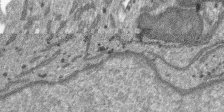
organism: Human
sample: Lung epithelial cells infected with SARS-CoV-2